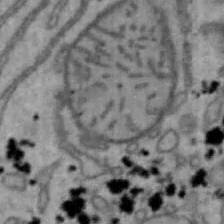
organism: Mouse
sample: Liver